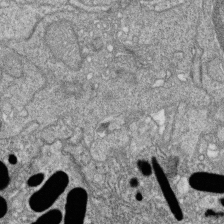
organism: Zebrafish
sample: Cilia; retinal pigment epithelium